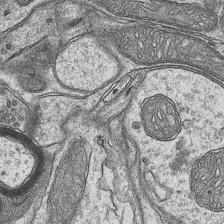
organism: Mouse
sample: CA1 Hippocampus